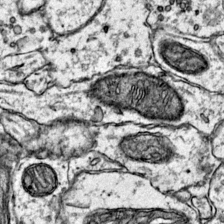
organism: Mouse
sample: Primary visual cortex